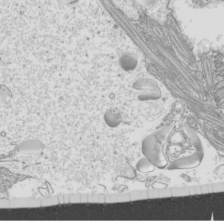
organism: Mouse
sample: Cilia; mouse epididymis